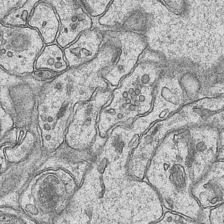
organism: Mouse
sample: CA1 Hippocampus